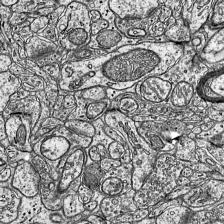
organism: Mouse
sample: Visual Cortex